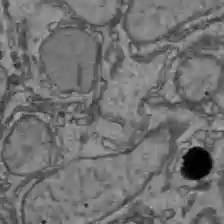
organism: C57BL Mouse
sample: Liver